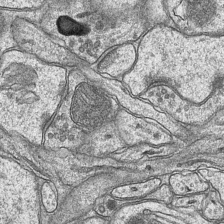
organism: Mouse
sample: CA1 Hippocampus